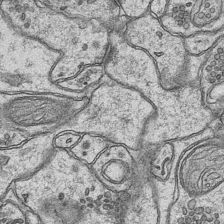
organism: Mouse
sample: CA1 Hippocampus